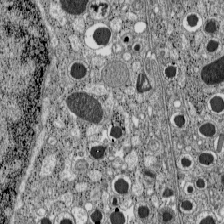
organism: C57BL Mouse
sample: Pancreatic islet